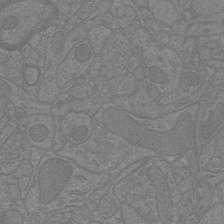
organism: Mouse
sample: Cortical neurons